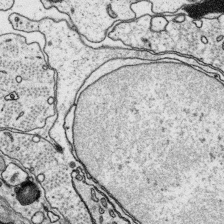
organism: Platynereis dumerilii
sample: Parapodia